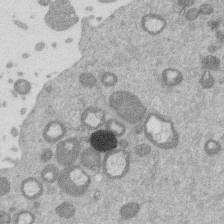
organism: Mouse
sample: Dividing mouse embryo 1 cell stage